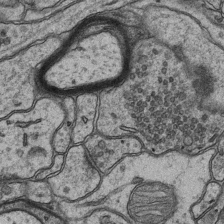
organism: Mouse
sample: CA1 Hippocampus